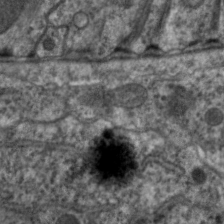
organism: C. elegans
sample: Pharynx